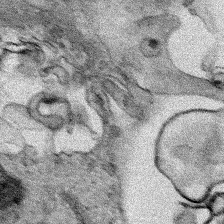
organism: Human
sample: Mitochondria in HCT116 cells